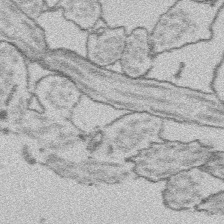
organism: Platynereis dumerilii